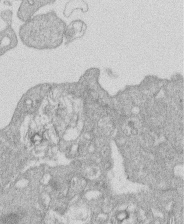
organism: Human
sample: Macrophage cells